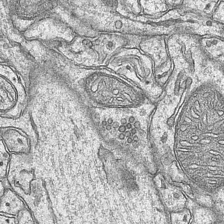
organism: Mouse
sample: CA1 Hippocampus